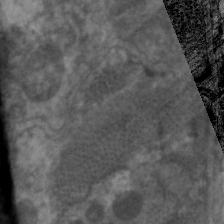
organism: C. elegans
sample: Pharynx